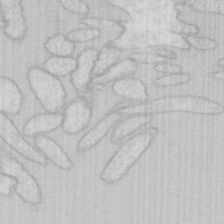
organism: Human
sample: HeLa cells